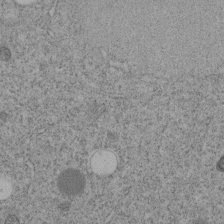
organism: C. elegans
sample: C. elegans embryo early stage